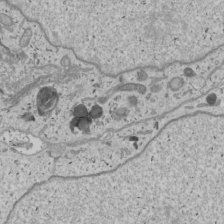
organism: Human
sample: Mitochondria in U2OS cells